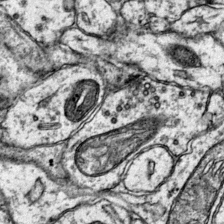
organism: Mouse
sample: Primary visual cortex